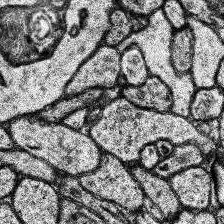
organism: Human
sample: Temporal Lobe